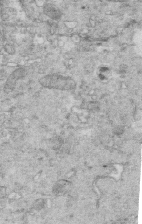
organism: Mouse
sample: Multiciliated cells